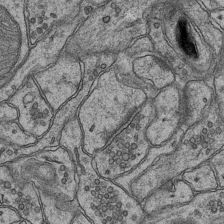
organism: Mouse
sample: CA1 Hippocampus